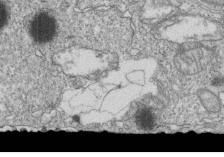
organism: Human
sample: HeLa cell HIV synapse